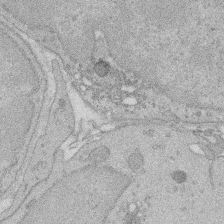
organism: Rat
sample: Salivary granule